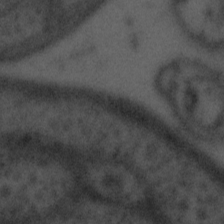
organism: Tuwongella immobilis